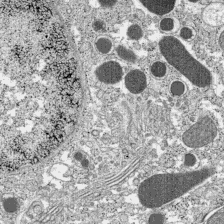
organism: C57BL Mouse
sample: Pancreatic islet